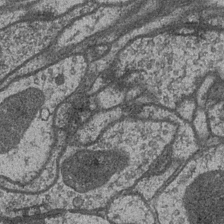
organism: Drosophila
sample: Optic medulla